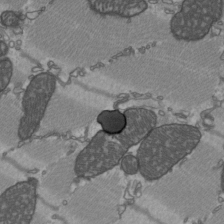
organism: C57BL Mouse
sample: Heart